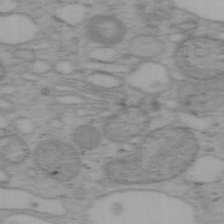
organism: Mouse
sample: OT-I killer T cells with ID8 ovarian cancer cells